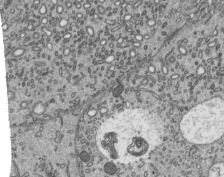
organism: Mouse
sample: Mouse epididymis efferent ductule cilia